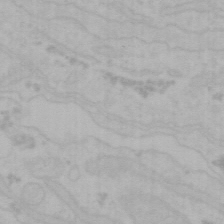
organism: Mouse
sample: Choroid plexus